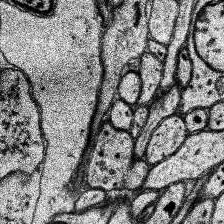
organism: Human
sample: Temporal Lobe